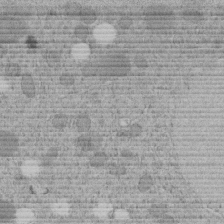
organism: C. elegans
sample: C. elegans embryo early stage